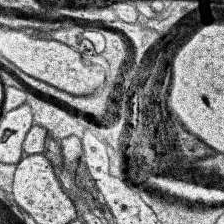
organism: Human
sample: Temporal Lobe